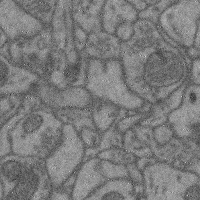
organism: Mouse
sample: Cerebral cortex